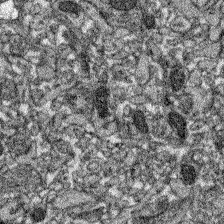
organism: Zebrafish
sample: Larval olfactory bulb